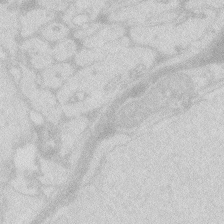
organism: Zebrafish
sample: Macrophage